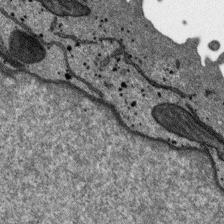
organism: Human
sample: Lung epithelial cells, uninfected (mock) control